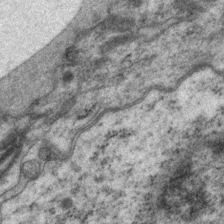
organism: P. pacificus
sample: Pharynx